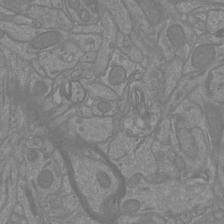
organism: Mouse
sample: Cortical neurons